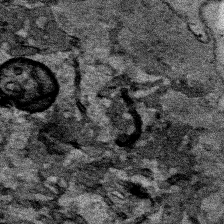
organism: Human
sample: Mitochondria in HCT116 cells